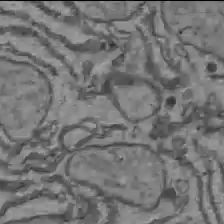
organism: C57BL Mouse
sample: Liver